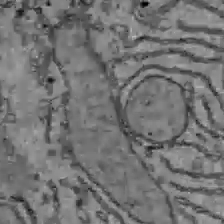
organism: C57BL Mouse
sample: Liver